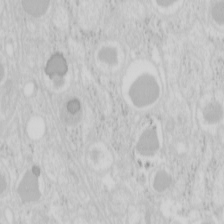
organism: Mouse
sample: Pancreas